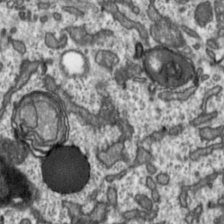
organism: Toxoplasma gondii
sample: Parasites in a vacuole inside a host cell